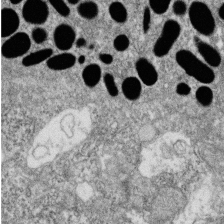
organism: Zebrafish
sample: Cilia; retinal pigment epithelium